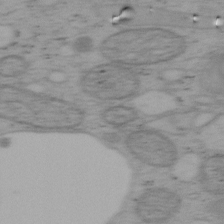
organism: Mouse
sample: OT-I killer T cells with ID8 ovarian cancer cells